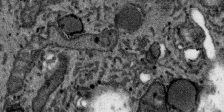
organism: Human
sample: Lung epithelial cells, uninfected (mock) control